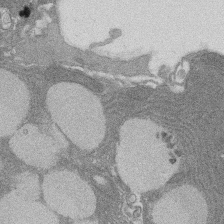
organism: Rat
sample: Salivary granule